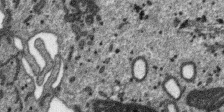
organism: Human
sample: Lung epithelial cells infected with SARS-CoV-2